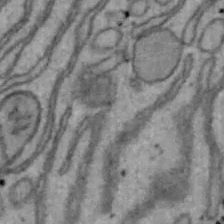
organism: Mouse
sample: Liver